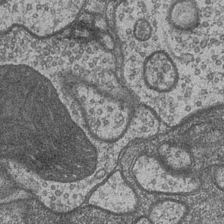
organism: Drosophila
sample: Optic medulla